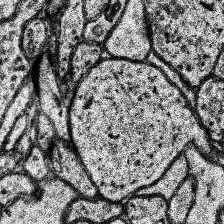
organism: Human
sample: Temporal Lobe